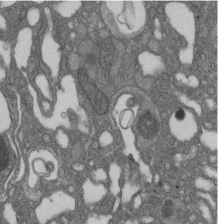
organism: Drosophila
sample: Nephrocyte